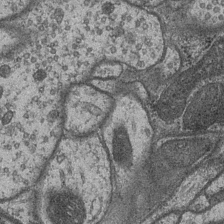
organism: Drosophila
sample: Optic medulla